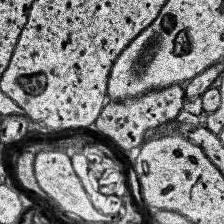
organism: Human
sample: Temporal Lobe